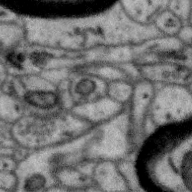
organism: Zebra finch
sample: Brain